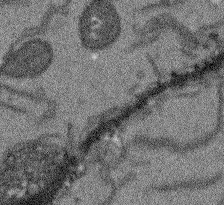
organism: Arabidopsis thaliana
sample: Root tip